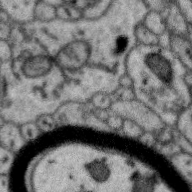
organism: Zebra finch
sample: Brain